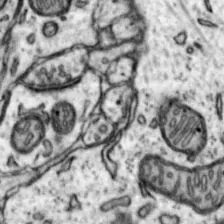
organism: Mouse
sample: Nucleus accumbens